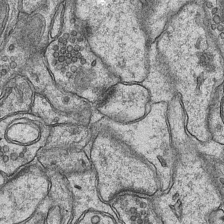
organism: Mouse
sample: CA1 Hippocampus